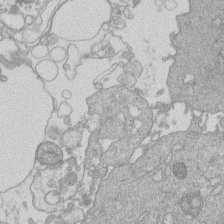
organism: Human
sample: Macrophage cells